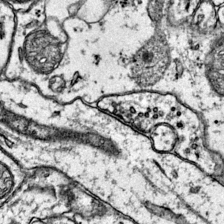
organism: Mouse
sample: Primary visual cortex